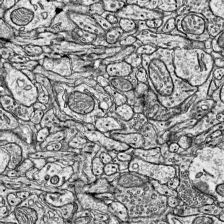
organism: Mouse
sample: Visual Cortex